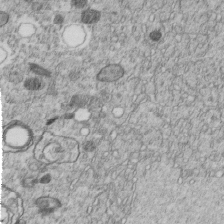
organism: C. elegans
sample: C. elegans embryo early stage